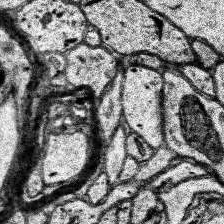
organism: Human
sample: Temporal Lobe